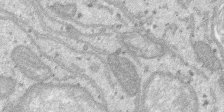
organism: Human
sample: Lung epithelial cells infected with SARS-CoV-2